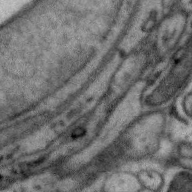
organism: Zebra finch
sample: Brain